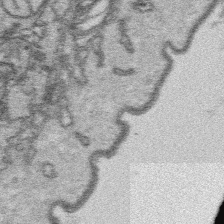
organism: Platynereis dumerilii